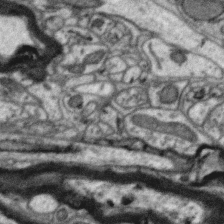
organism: Zebra finch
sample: Brain